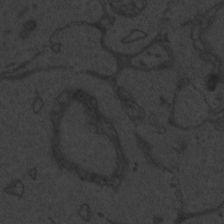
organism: Zebrafish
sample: Macrophage infected with Toxoplasma gondii